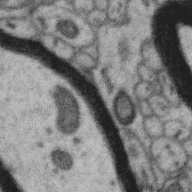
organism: Zebra finch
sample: Brain